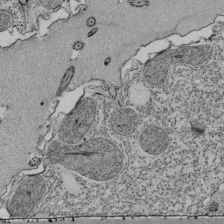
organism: Tetrahymena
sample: Cilia in tetrahymena